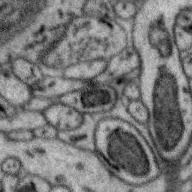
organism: Zebra finch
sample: Brain